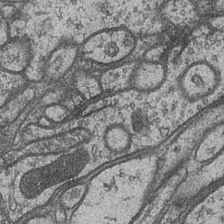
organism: Drosophila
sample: Optic medulla